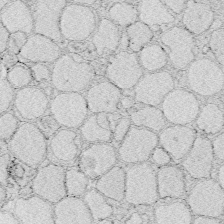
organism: Zebrafish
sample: Whole-Brain